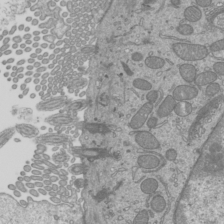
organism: Mouse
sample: Cilia; mouse epididymis